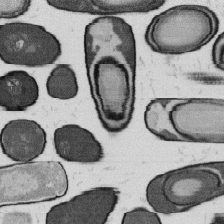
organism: B. subtilis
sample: Bacterial spore